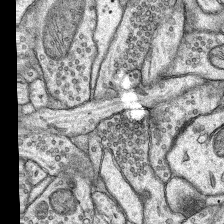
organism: Rat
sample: Hippocampus